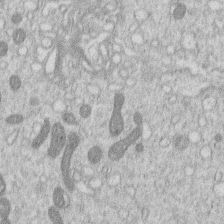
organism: Human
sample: Macrophage cells